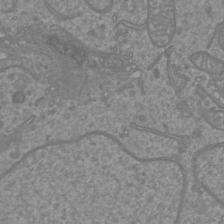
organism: Mouse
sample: Cortical neurons